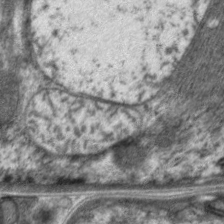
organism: C. elegans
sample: Pharynx